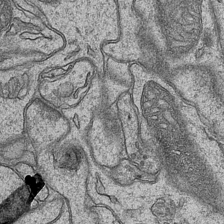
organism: Mouse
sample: CA1 Hippocampus